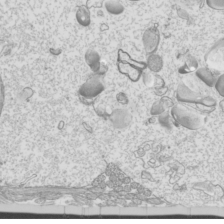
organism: Mouse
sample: Cilia; mouse epididymis